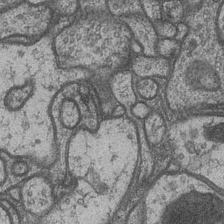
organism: Drosophila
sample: Optic medulla